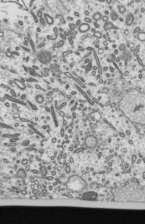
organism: Mouse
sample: Mouse epididymis efferent ductule cilia